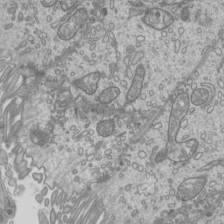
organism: Mouse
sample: Cilia; mouse epididymis